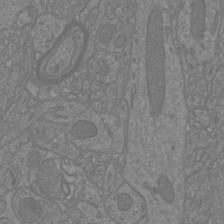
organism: Mouse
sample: Cortical neurons